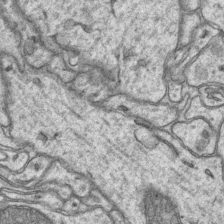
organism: Mouse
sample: CA1 Hippocampus